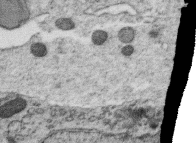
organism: C. elegans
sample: C. elegans oocyte; sperm cells